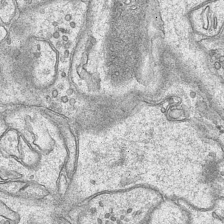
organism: Mouse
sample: CA1 Hippocampus